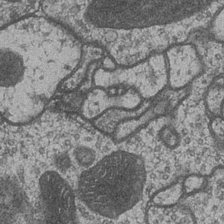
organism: Drosophila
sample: Optic medulla